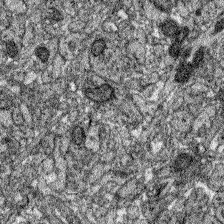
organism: Zebrafish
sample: Larval olfactory bulb